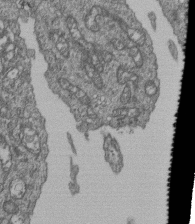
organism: Human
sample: Retinal organoid Rod and Cone cells